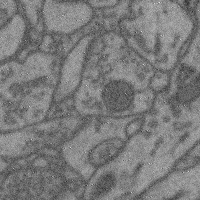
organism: Mouse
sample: Cerebral cortex